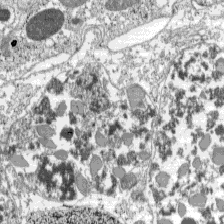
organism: C57BL Mouse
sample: Pancreatic islet